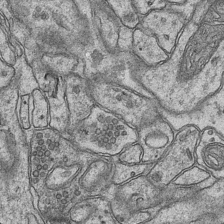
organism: Mouse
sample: CA1 Hippocampus